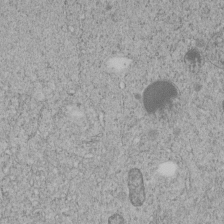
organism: C. elegans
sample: C. elegans embryo early stage